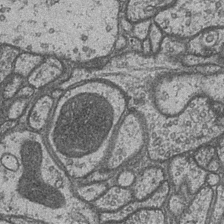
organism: Drosophila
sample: Optic medulla